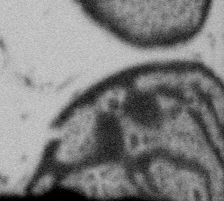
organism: Gemmata obscuriglobus